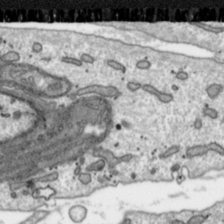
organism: Toxoplasma gondii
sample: Parasites in a vacuole inside a host cell